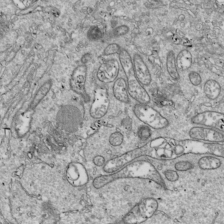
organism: Drosophila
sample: Cell division; meiosis; drosophila spermatocytes